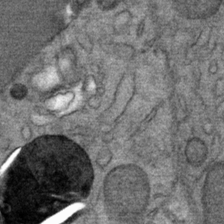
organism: Mouse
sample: Mouse Salivary gland